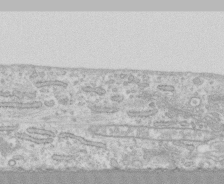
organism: Human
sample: CRL-1474